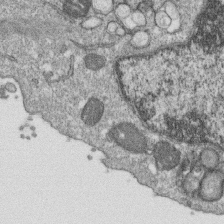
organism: African green monkey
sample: Vero E6 cells infected with SARS-CoV-2